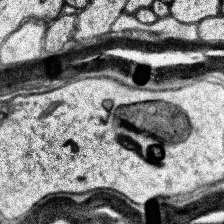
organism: Human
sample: Temporal Lobe